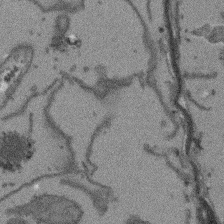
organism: Arabidopsis thaliana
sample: Root tip